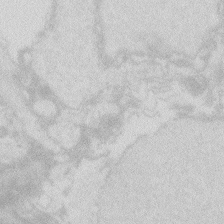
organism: Zebrafish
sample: Macrophage